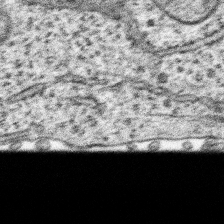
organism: Human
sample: HeLa cells